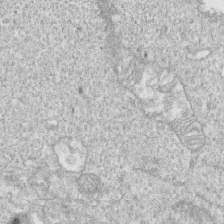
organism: Human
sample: HeLa cell HIV synapse